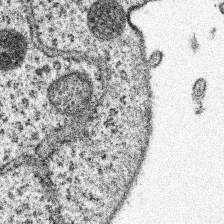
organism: Human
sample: HeLa cells